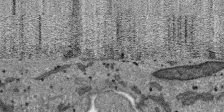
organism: Human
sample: Lung epithelial cells, uninfected (mock) control